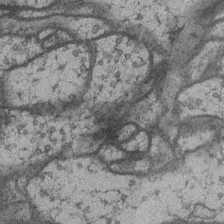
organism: Drosophila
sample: Optic medulla